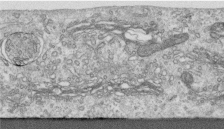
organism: Human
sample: Centriole in RPE cells